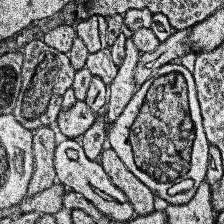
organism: Human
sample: Temporal Lobe